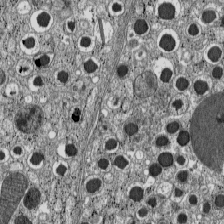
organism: C57BL Mouse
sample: Pancreatic islet